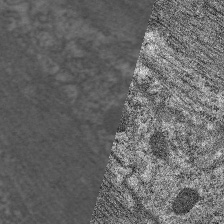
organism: C. elegans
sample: Pharynx